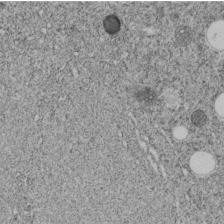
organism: C. elegans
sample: C. elegans embryo early stage